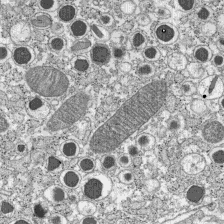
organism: C57BL Mouse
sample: Pancreatic islet